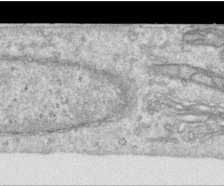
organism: Human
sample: Centriole in RPE cells